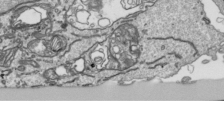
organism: Human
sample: Mitochondria in HCT116 cells